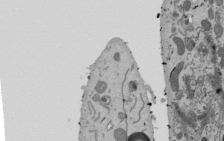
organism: Mouse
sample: ED-1 cell nuclei; centrioles